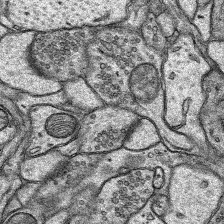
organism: Rat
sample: Hippocampus